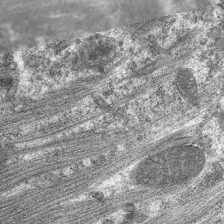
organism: C. elegans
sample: Pharynx